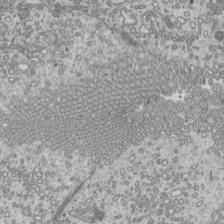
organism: Mouse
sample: Cilia; mouse epididymis